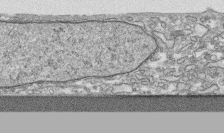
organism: Human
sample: CRL-1474